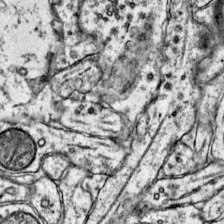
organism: Mouse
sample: Primary visual cortex